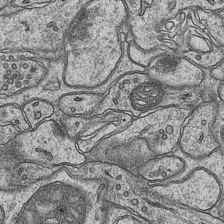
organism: Mouse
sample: CA1 Hippocampus